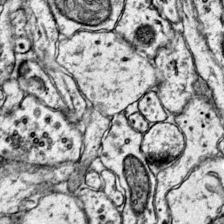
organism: Mouse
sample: Primary visual cortex